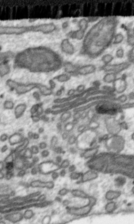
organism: Toxoplasma gondii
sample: Parasites in a vacuole inside a host cell